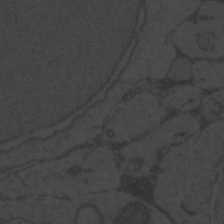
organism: Zebrafish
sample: Macrophage infected with Toxoplasma gondii